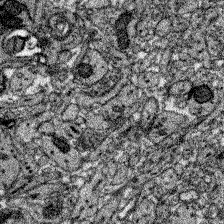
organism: Zebrafish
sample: Larval olfactory bulb